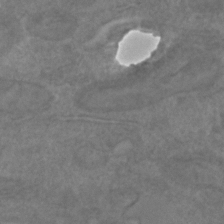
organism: C. elegans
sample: C. elegans embryo